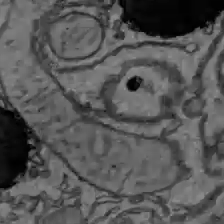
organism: C57BL Mouse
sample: Liver